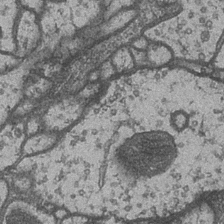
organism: Drosophila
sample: Optic medulla